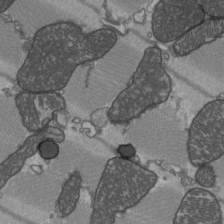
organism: C57BL Mouse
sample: Heart